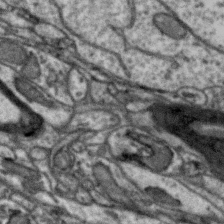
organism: Zebra finch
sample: Brain